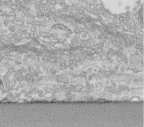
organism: Human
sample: Centriole in fibroblast cells